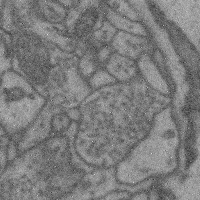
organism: Mouse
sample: Cerebral cortex